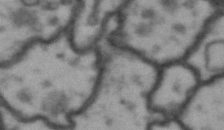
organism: Drosophila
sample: Brain